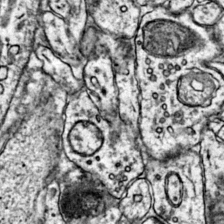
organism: Mouse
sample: Primary visual cortex